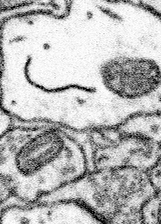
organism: Mouse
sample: Somatosensory cortex neuropil